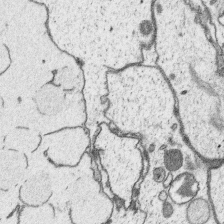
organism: Platynereis dumerilii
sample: Parapodia